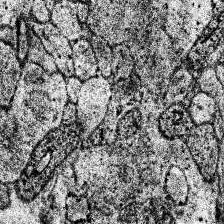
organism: Human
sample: Temporal Lobe